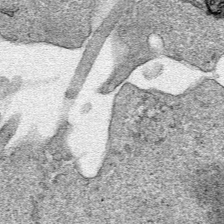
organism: Human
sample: Mitochondria in HCT116 cells